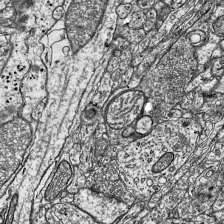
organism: Mouse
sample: Visual Cortex